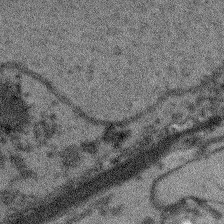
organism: Arabidopsis thaliana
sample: Root tip